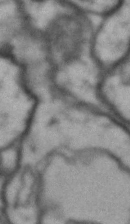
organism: Drosophila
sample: Brain